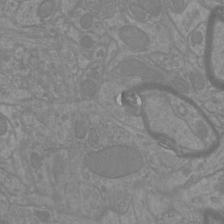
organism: Mouse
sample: Cortical neurons